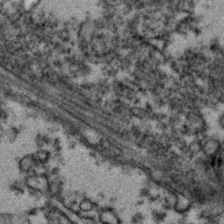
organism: Zebrafish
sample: Zebrafish embryo